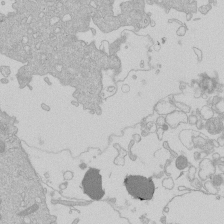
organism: Human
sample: Macrophage cells